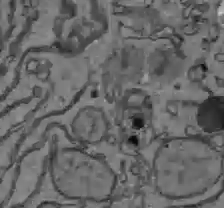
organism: C57BL Mouse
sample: Liver